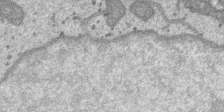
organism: Human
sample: Lung epithelial cells infected with SARS-CoV-2